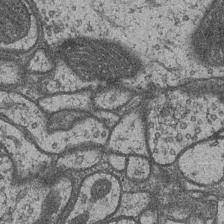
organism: Drosophila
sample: Optic medulla